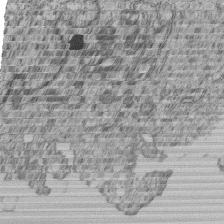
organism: Human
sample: MDA-MB-231 cells